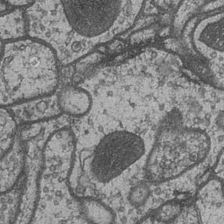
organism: Drosophila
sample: Optic medulla